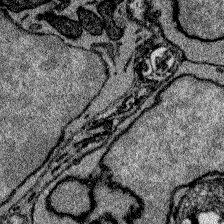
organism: Zebrafish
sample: Larval olfactory bulb